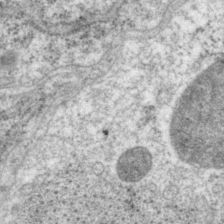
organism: P. pacificus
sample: Pharynx